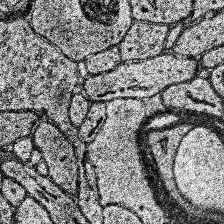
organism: Human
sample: Temporal Lobe